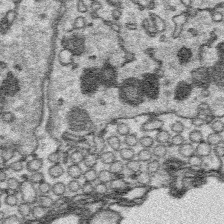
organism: Platynereis dumerilii